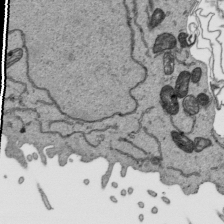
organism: Human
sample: Mitochondria in HCT116 cells